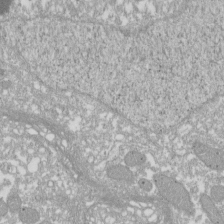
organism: Xenopus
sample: Cilia; centrioles in frog embryo cells